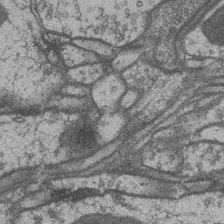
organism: Drosophila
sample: Optic medulla